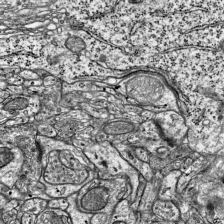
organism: Mouse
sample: Visual Cortex